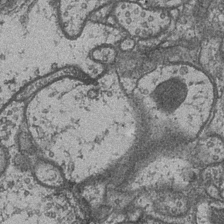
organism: Drosophila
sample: Optic medulla